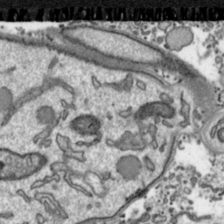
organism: Toxoplasma gondii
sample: Parasites in a vacuole inside a host cell